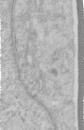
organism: Human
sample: Centriole in RPE cells